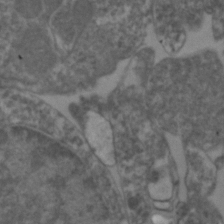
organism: Zebrafish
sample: Zebrafish embryo